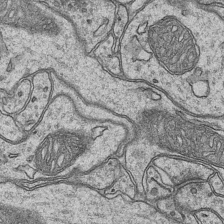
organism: Mouse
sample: CA1 Hippocampus